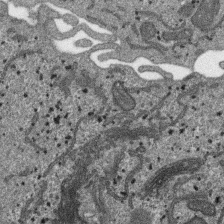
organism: Human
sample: Lung epithelial cells infected with SARS-CoV-2